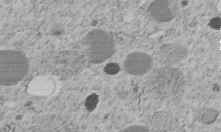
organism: C. elegans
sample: C. elegans embryo early stage